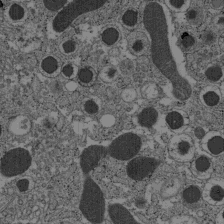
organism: C57BL Mouse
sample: Pancreatic islet